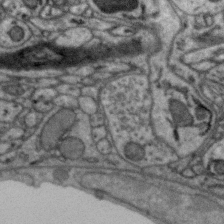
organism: Zebra finch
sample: Brain